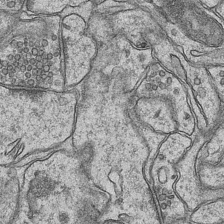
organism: Mouse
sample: CA1 Hippocampus